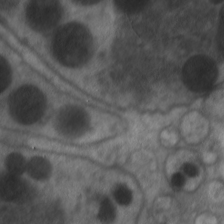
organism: C. elegans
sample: Pharynx